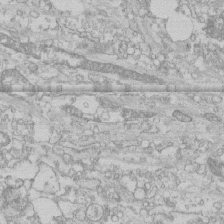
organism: Human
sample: CRL-1474